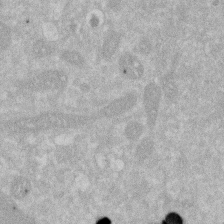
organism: Human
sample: HIV infected U937 cells